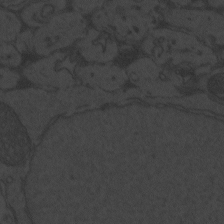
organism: Zebrafish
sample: Macrophage infected with Toxoplasma gondii